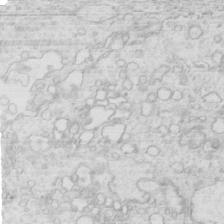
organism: Mouse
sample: Multiciliated cells